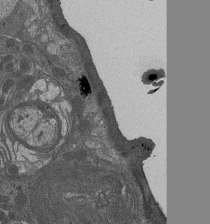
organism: Drosophila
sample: Antenna